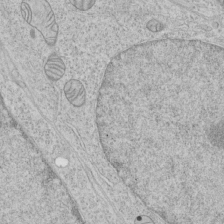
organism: Human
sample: Mitochondria in HCT116 cells